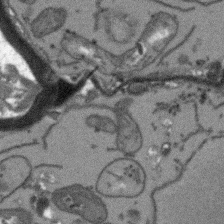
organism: Arabidopsis thaliana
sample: Root tip